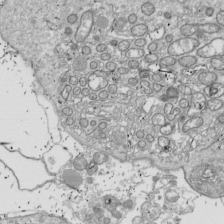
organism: Drosophila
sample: Cell division; meiosis; drosophila spermatocytes